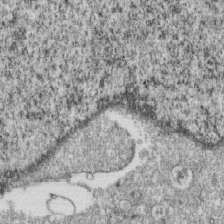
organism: African green monkey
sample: Vero E6 cells infected with SARS-CoV-2